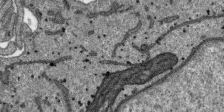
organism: Human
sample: Lung epithelial cells, uninfected (mock) control